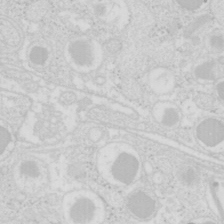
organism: Mouse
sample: Pancreas